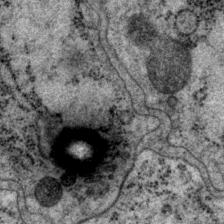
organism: P. pacificus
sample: Pharynx